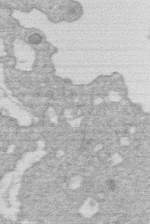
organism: Human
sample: Macrophage cells